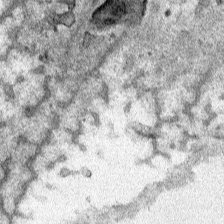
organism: Human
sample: Mitochondria in HCT116 cells